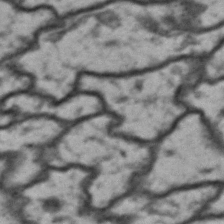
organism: Drosophila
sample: Brain